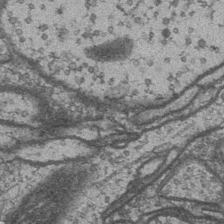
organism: Drosophila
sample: Optic medulla